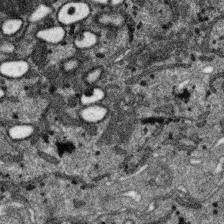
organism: Human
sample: Lung epithelial cells infected with SARS-CoV-2